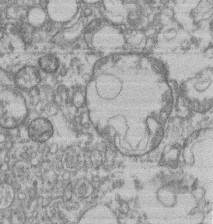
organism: Mouse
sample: T cell stromal cell synapse